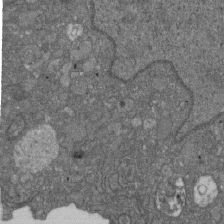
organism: Drosophila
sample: Nephrocyte